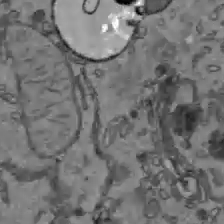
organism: C57BL Mouse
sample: Liver